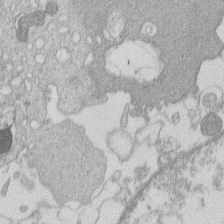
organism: Human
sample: Macrophage cells